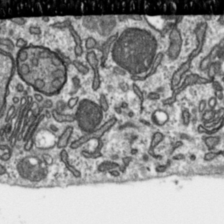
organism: Toxoplasma gondii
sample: Parasites in a vacuole inside a host cell